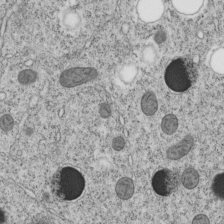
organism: C. elegans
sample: C. elegans embryo early stage